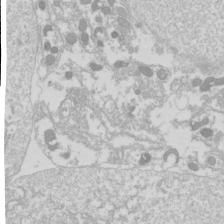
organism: Drosophila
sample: Cell division; meiosis; drosophila spermatocytes